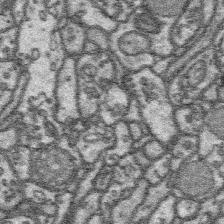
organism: Platynereis dumerilii